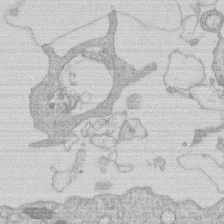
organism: Human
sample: Macrophage cells